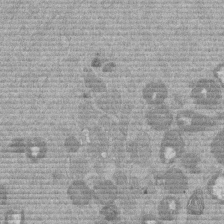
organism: Mouse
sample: Dividing mouse embryo 1 cell stage